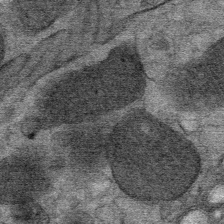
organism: Mouse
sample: Mouse Salivary gland